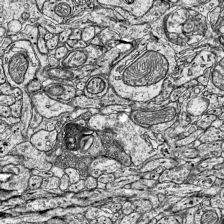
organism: Mouse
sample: Visual Cortex